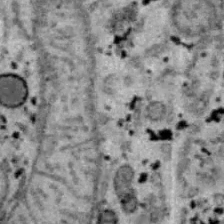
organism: Mouse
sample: Liver from an obese (ob/ob) mouse